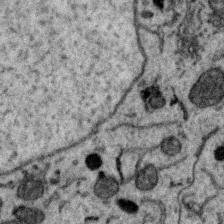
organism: Zebra finch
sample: Brain